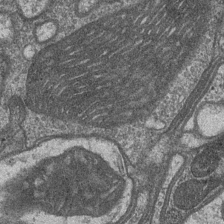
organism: Drosophila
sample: Optic medulla